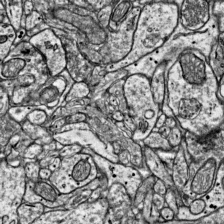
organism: Mouse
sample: Visual Cortex